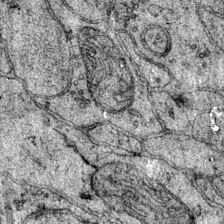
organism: Mouse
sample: Primary visual cortex